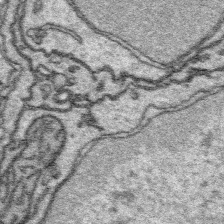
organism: Platynereis dumerilii